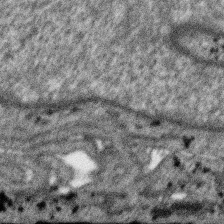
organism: Human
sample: Lung epithelial cells infected with SARS-CoV-2